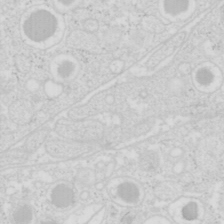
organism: Mouse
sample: Pancreas